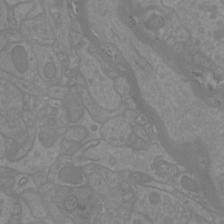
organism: Mouse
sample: Cortical neurons